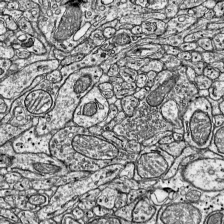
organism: Mouse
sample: Visual Cortex